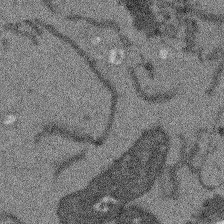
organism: Arabidopsis thaliana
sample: Root tip